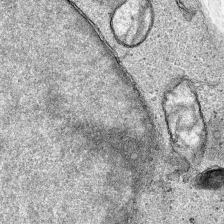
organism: Human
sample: Mitochondria in HCT116 cells